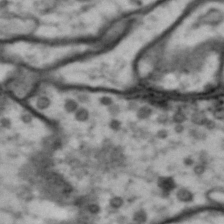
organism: Drosophila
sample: Brain